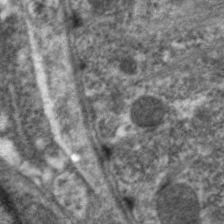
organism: C. elegans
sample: Pharynx